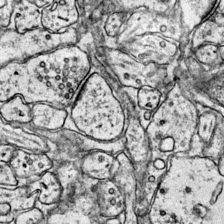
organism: Mouse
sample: Primary visual cortex